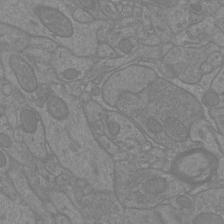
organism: Mouse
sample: Cortical neurons